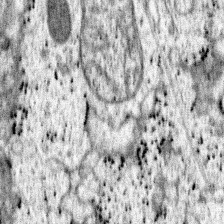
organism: Human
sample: HeLa cells